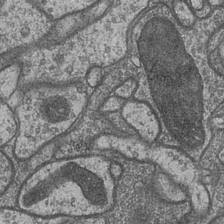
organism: Drosophila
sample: Optic medulla